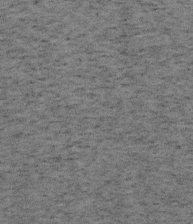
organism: Mouse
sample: OT-I killer T cells with ID8 ovarian cancer cells